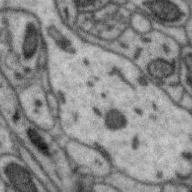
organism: Zebra finch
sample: Brain